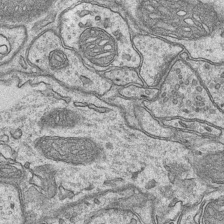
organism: Mouse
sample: CA1 Hippocampus